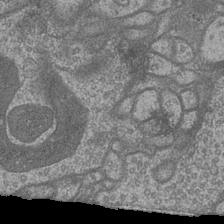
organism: Drosophila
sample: Optic medulla